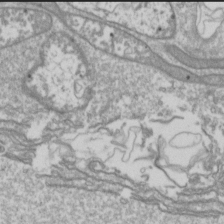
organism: Drosophila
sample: Cell division; meiosis; drosophila spermatocytes